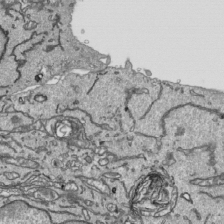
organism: Human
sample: Mitochondria in HCT116 cells